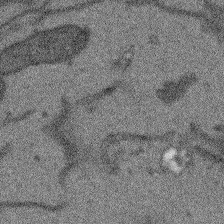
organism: Arabidopsis thaliana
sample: Root tip